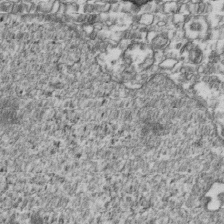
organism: Human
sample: Activated Jurkat CD4+ T cells